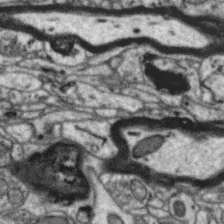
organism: Zebra finch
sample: Brain